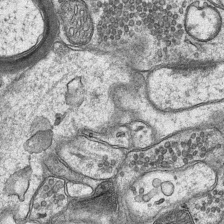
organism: Mouse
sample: CA1 Hippocampus